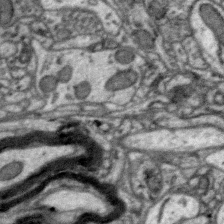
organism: Zebra finch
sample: Brain